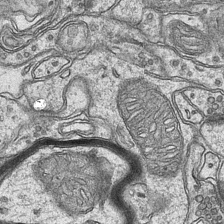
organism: Mouse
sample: CA1 Hippocampus